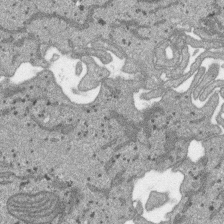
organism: Human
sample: Lung epithelial cells infected with SARS-CoV-2